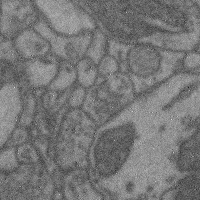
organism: Mouse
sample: Cerebral cortex